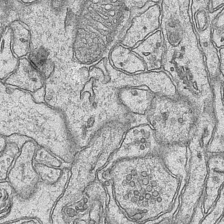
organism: Mouse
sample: CA1 Hippocampus